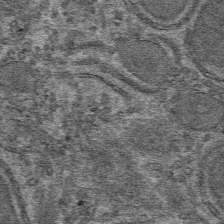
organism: Mouse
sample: Mouse hepatocytes